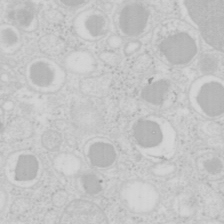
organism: Mouse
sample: Pancreas